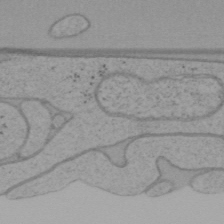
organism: Human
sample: HeLa cells